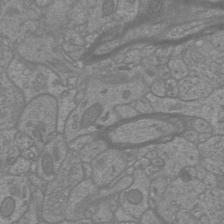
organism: Mouse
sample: Cortical neurons